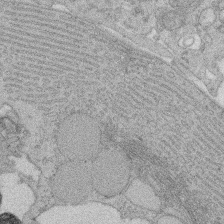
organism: Rat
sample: Salivary granule